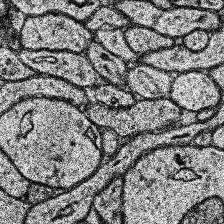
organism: Human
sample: Temporal Lobe